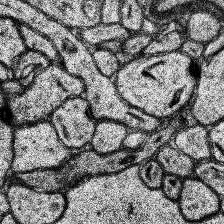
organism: Human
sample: Temporal Lobe